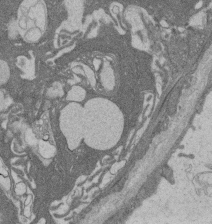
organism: Rat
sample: Salivary granule